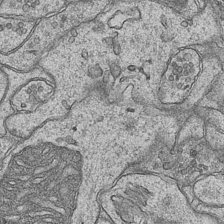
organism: Mouse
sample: CA1 Hippocampus